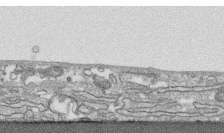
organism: Human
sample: CRL-1474